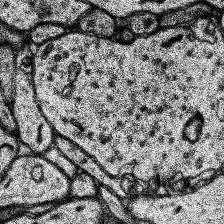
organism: Human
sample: Temporal Lobe